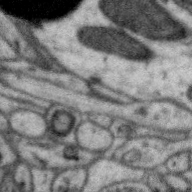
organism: Zebra finch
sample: Brain